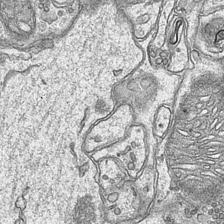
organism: Mouse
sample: CA1 Hippocampus